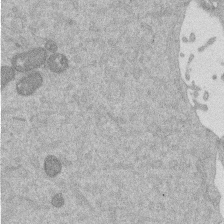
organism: Mouse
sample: Dividing mouse embryo 1 cell stage